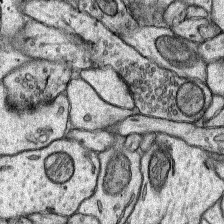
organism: Rat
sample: Hippocampus